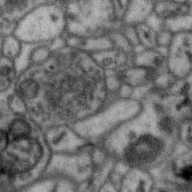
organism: Zebra finch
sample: Brain